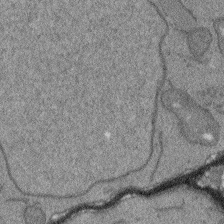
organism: Arabidopsis thaliana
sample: Root tip